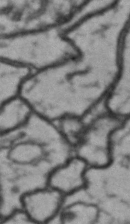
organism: Drosophila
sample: Brain